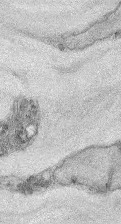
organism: Mouse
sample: Corneal nerves